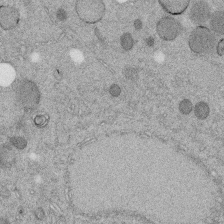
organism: C. elegans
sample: C. elegans embryo early stage